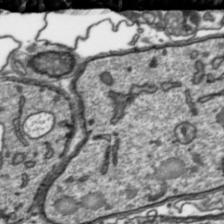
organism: Toxoplasma gondii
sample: Parasites in a vacuole inside a host cell